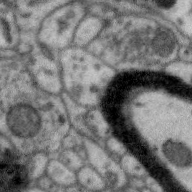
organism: Zebra finch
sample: Brain